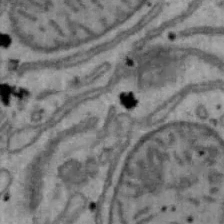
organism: Mouse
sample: Liver